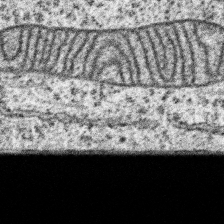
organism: Human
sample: HeLa cells